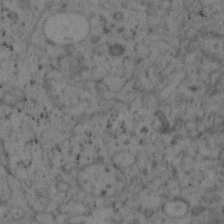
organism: Human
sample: HeLa cells